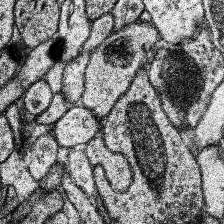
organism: Human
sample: Temporal Lobe